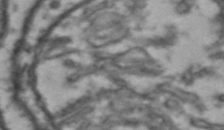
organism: Drosophila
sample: Brain